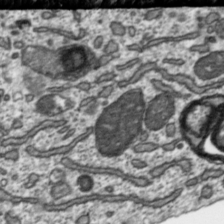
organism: Toxoplasma gondii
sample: Parasites in a vacuole inside a host cell